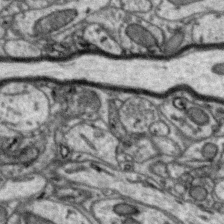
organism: Zebra finch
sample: Brain